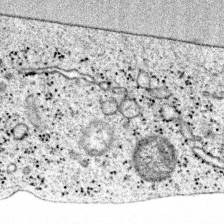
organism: Human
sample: HeLa cells